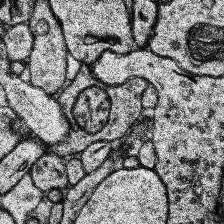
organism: Human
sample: Temporal Lobe